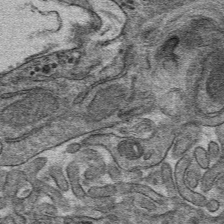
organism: Mouse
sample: Mouse hepatocytes